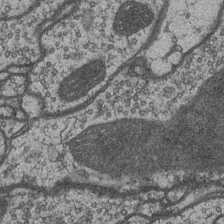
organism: Drosophila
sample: Optic medulla